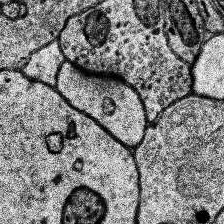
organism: Human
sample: Temporal Lobe